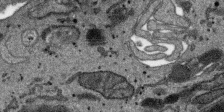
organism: Human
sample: Lung epithelial cells, uninfected (mock) control